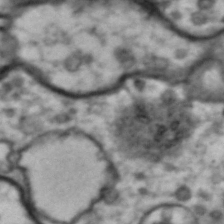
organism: Drosophila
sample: Brain